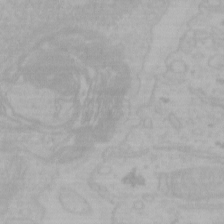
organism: Mouse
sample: Choroid plexus